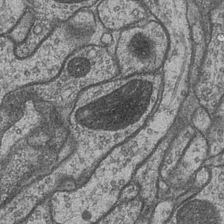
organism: Drosophila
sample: Optic medulla